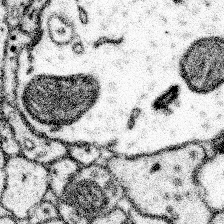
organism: Mouse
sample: Somatosensory cortex neuropil